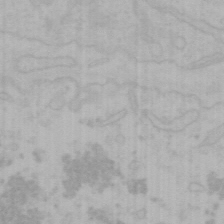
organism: Mouse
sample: Choroid plexus